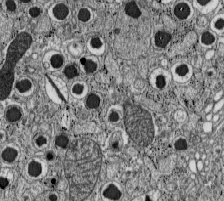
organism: C57BL Mouse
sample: Pancreatic islet